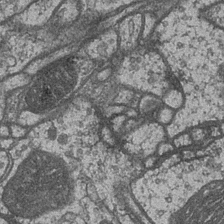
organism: Drosophila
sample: Optic medulla